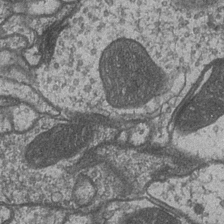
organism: Drosophila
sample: Optic medulla